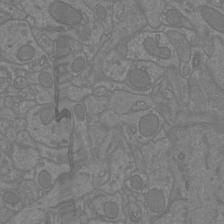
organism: Mouse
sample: Cortical neurons